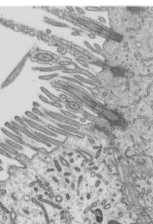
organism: Mouse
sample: Mouse epididymis efferent ductule cilia